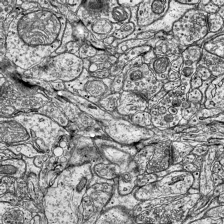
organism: Mouse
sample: Visual Cortex